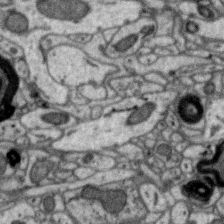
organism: Zebra finch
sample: Brain